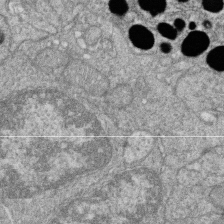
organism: Zebrafish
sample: Cilia; retinal pigment epithelium